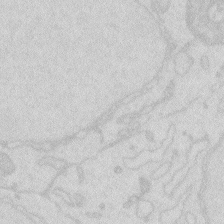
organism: Zebrafish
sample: Macrophage